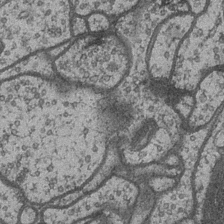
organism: Drosophila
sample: Optic medulla